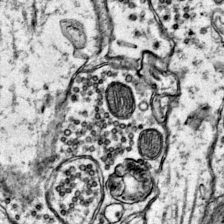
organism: Mouse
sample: Primary visual cortex